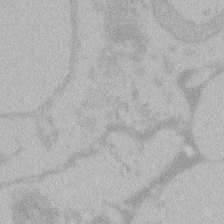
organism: Zebrafish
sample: Macrophage infected with Toxoplasma gondii